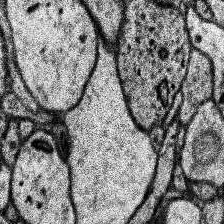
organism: Human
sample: Temporal Lobe